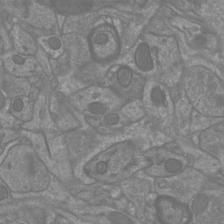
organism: Mouse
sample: Cortical neurons